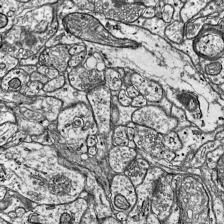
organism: Mouse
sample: Visual Cortex